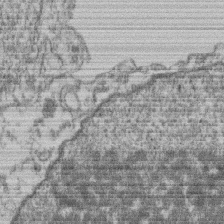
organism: Mouse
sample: T cell stromal cell synapse